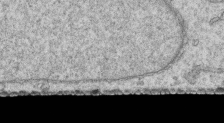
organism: Human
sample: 1205lu cells